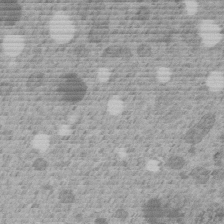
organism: C. elegans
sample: C. elegans embryo early stage